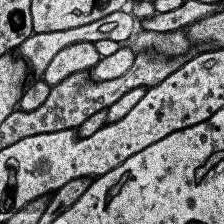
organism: Human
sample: Temporal Lobe